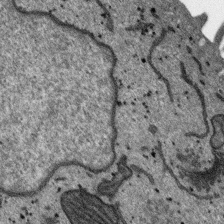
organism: Human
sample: Lung epithelial cells, uninfected (mock) control